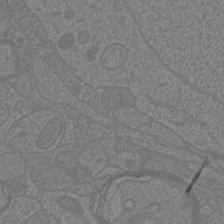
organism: Mouse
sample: Cortical neurons